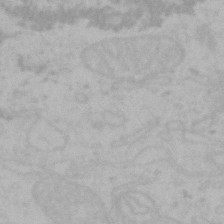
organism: Mouse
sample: Choroid plexus